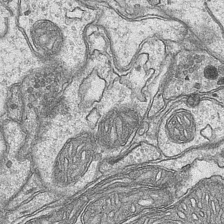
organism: Mouse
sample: CA1 Hippocampus